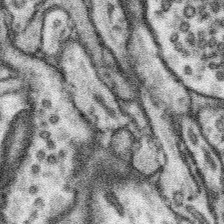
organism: Mouse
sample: Somatosensory cortex neuropil